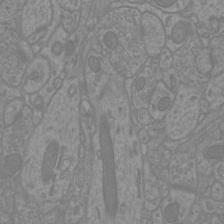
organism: Mouse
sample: Cortical neurons